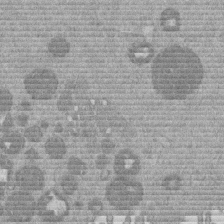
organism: Mouse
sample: Dividing mouse embryo 1 cell stage